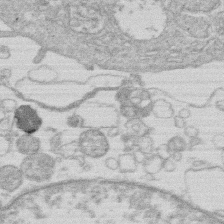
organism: Human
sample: Macrophage cells